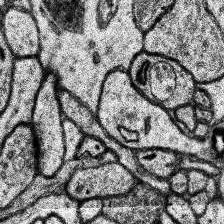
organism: Human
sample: Temporal Lobe